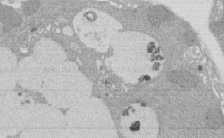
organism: Rat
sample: Salivary granule